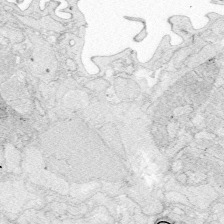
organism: Zebrafish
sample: Whole-Brain